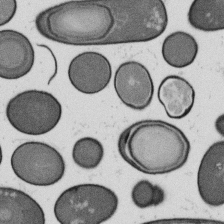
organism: B. subtilis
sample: Bacterial spore